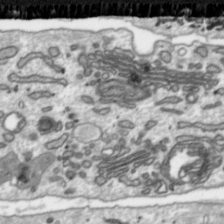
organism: Toxoplasma gondii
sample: Parasites in a vacuole inside a host cell